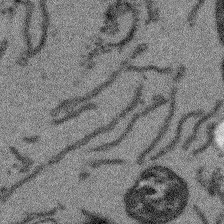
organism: Arabidopsis thaliana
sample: Root tip